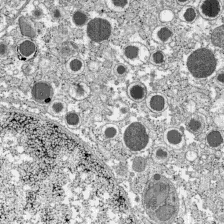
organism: C57BL Mouse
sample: Pancreatic islet